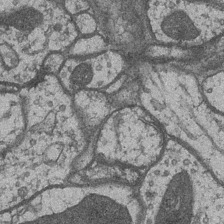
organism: Drosophila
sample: Optic medulla